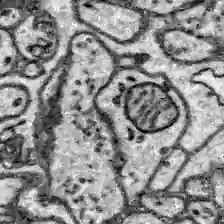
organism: Zebrafish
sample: Brain